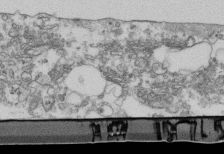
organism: Mouse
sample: Cilia; retinal pigment epithelium